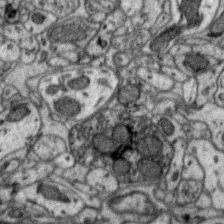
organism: Zebra finch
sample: Brain